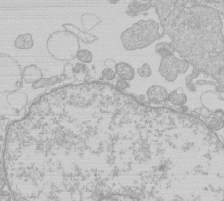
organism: Human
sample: Macrophage cells